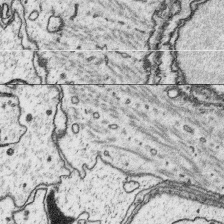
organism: Platynereis dumerilii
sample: Parapodia